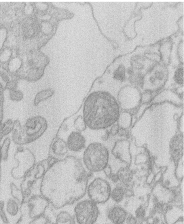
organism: Human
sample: Macrophage cells